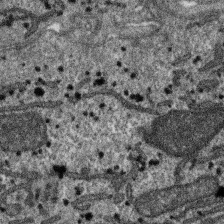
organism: Human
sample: Lung epithelial cells infected with SARS-CoV-2